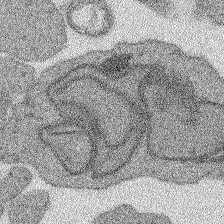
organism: Human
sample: HeLa cells